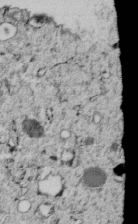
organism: C. elegans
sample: C. elegans embryo early stage